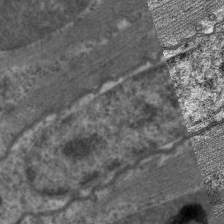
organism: C. elegans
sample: Pharynx